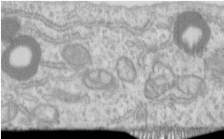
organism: Human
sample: Centriole in RPE cells